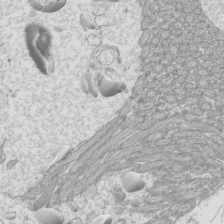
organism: Mouse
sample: Cilia; mouse epididymis